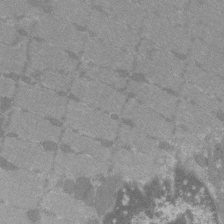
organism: C57BL Mouse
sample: Tibialis anterior muscle cell